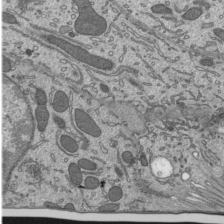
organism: Mouse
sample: Mouse epididymis efferent ductule cilia